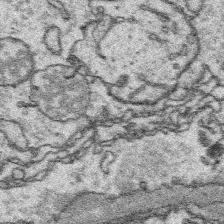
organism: Platynereis dumerilii